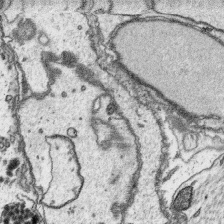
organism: Platynereis dumerilii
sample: Parapodia